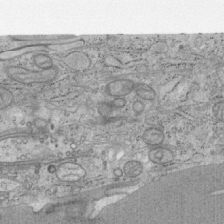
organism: Human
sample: HeLa cells